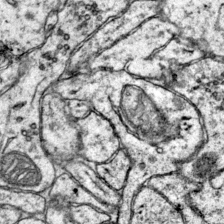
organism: Mouse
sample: Primary visual cortex